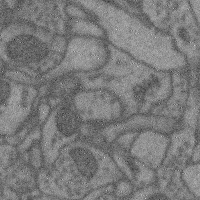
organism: Mouse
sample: Cerebral cortex